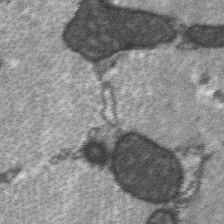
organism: C57BL Mouse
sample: Soleus